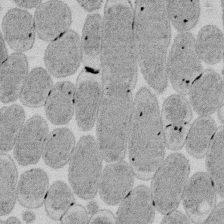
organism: E. coli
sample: Bacterial nucleoid